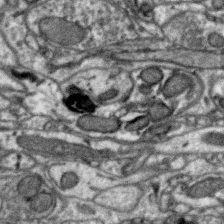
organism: Zebra finch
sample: Brain